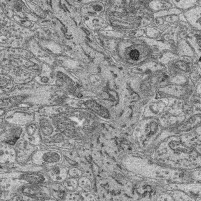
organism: Mouse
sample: Retina